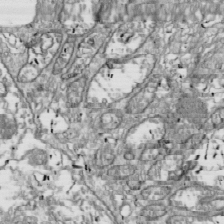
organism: Drosophila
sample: Cell division; meiosis; drosophila spermatocytes